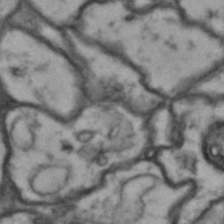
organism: Drosophila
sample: Brain